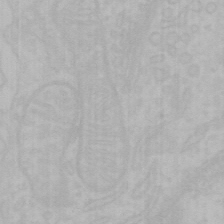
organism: Mouse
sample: Choroid plexus